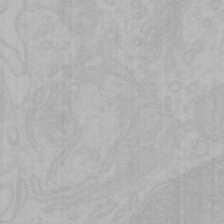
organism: Mouse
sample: Choroid plexus